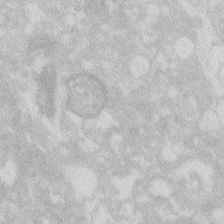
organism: Zebrafish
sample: Macrophage